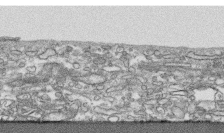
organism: Human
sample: CRL-1474